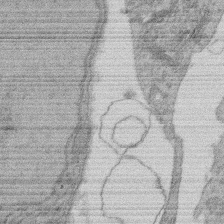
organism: Rat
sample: Salivary granule